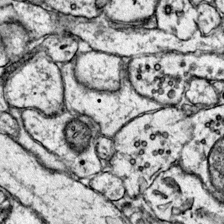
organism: Mouse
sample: Primary visual cortex